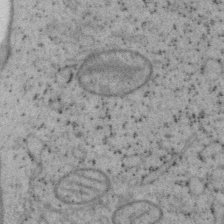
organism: Human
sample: HeLa cells